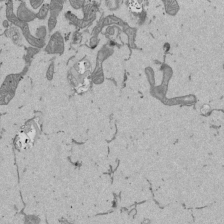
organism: Mouse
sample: ED-1 cell nuclei; centrioles